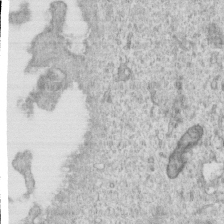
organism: Human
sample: Centriole in RPE cells